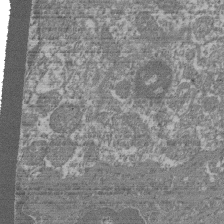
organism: Mouse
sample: Glomerulus